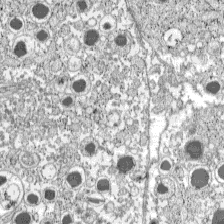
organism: C57BL Mouse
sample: Pancreatic islet